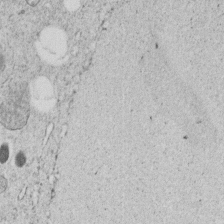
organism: C. elegans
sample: C. elegans embryo early stage